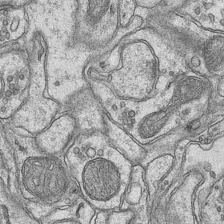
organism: Mouse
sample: CA1 Hippocampus